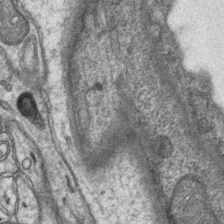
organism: Mouse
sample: CA1 Hippocampus